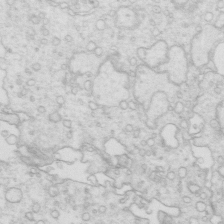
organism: Mouse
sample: Multiciliated cells